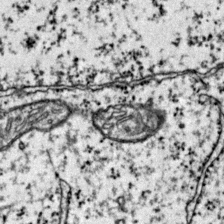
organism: Mouse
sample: Primary visual cortex